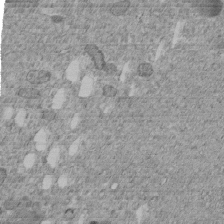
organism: C. elegans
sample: C. elegans embryo early stage